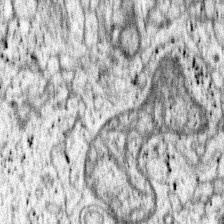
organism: Human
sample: HeLa cells